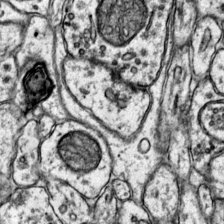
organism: Mouse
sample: Primary visual cortex